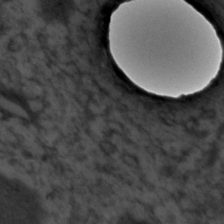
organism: C. elegans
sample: C. elegans embryo